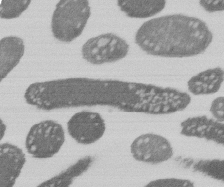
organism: E. coli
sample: Bacterial nucleoid